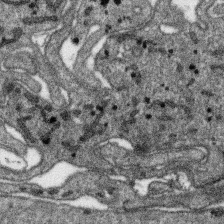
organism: Human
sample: Lung epithelial cells infected with SARS-CoV-2